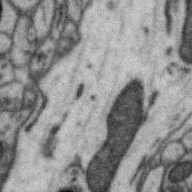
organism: Zebra finch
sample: Brain